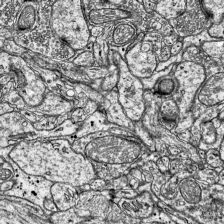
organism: Mouse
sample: Visual Cortex